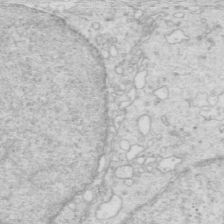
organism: Mouse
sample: Multiciliated cells